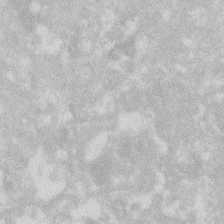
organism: Zebrafish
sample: Macrophage